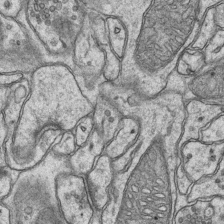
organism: Mouse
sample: CA1 Hippocampus